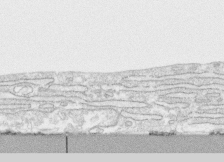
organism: Human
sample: CRL-1474